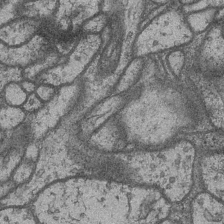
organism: Drosophila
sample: Optic medulla